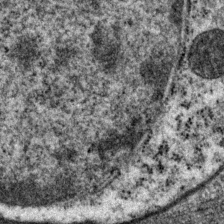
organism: P. pacificus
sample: Pharynx